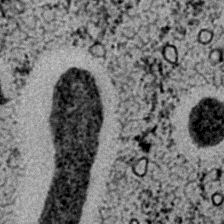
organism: C. elegans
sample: C. elegans embryo